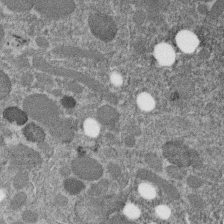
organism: C. elegans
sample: C. elegans embryo early stage